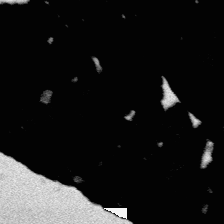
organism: Platynereis dumerilii